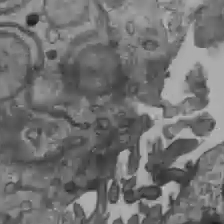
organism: C57BL Mouse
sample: Liver